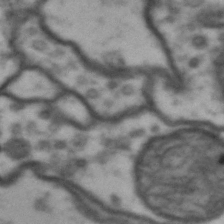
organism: Drosophila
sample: Brain